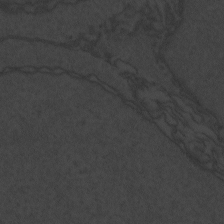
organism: Zebrafish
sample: Macrophage infected with Toxoplasma gondii